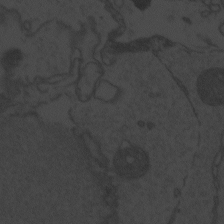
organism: Zebrafish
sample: Macrophage infected with Toxoplasma gondii